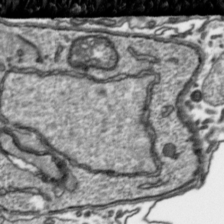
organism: Toxoplasma gondii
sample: Parasites in a vacuole inside a host cell